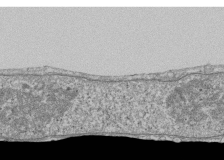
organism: Human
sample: Fibroblast cells